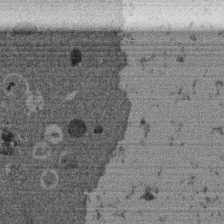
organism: Mouse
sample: Dividing mouse embryo 1 cell stage